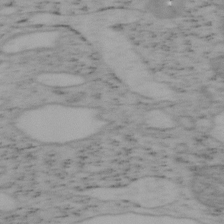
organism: Mouse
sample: OT-I killer T cells with ID8 ovarian cancer cells